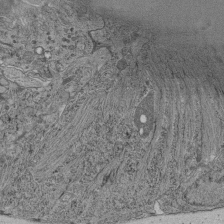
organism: C. elegans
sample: C. elegans pharynx